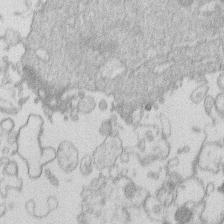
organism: Human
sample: Macrophage cells